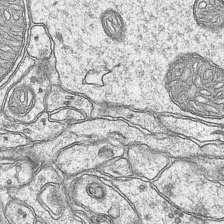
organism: Mouse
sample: CA1 Hippocampus